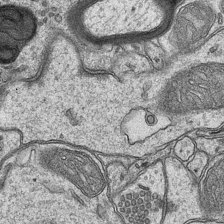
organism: Mouse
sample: CA1 Hippocampus